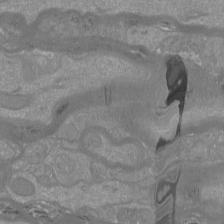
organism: Mouse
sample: Cortical neurons